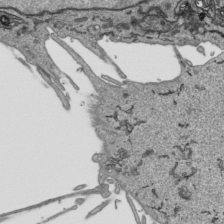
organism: Human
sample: Mitochondria in HCT116 cells